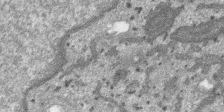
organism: Human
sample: Lung epithelial cells infected with SARS-CoV-2